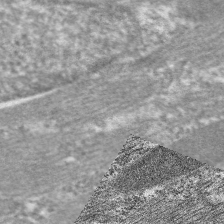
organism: C. elegans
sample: Pharynx